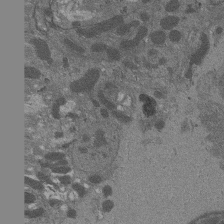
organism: Drosophila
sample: Antenna